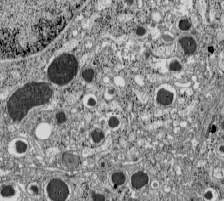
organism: C57BL Mouse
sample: Pancreatic islet